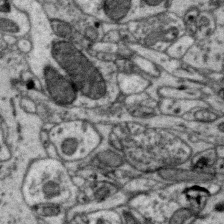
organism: Zebra finch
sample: Brain